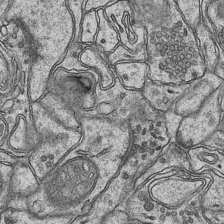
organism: Mouse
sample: CA1 Hippocampus